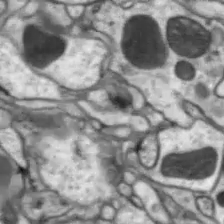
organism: Drosophila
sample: Optic lobe